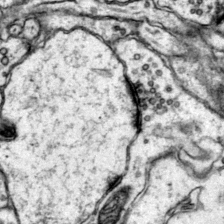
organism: Mouse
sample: Primary visual cortex